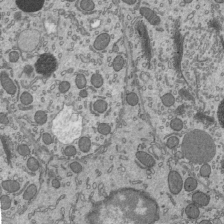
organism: Mouse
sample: Mouse epididymis efferent ductule cilia